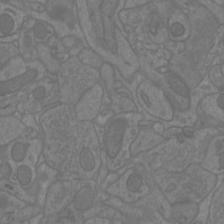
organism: Mouse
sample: Cortical neurons